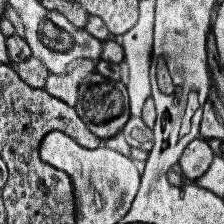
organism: Human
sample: Temporal Lobe